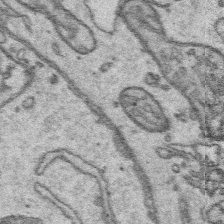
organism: Platynereis dumerilii